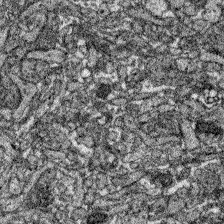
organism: Zebrafish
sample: Larval olfactory bulb